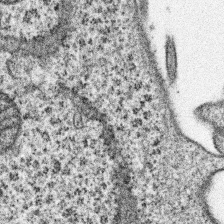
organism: Human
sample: HeLa cells